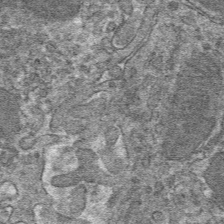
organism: Mouse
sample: Mouse hepatocytes